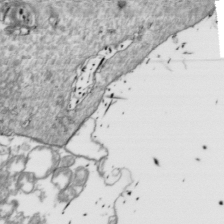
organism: Drosophila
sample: Cell division; meiosis; drosophila spermatocytes